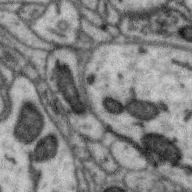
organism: Zebra finch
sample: Brain